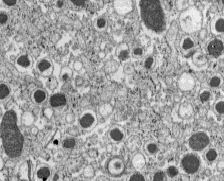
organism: C57BL Mouse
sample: Pancreatic islet